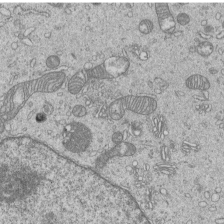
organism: Human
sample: MDA-MB-231 cells